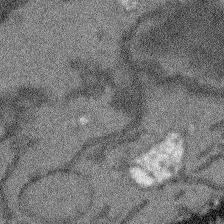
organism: Arabidopsis thaliana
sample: Root tip